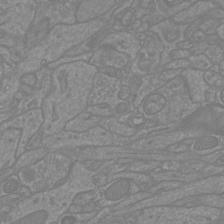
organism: Mouse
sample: Cortical neurons